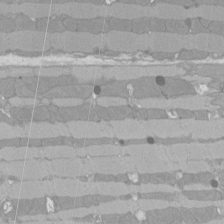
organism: Rat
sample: Left ventricle